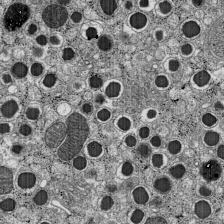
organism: C57BL Mouse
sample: Pancreatic islet